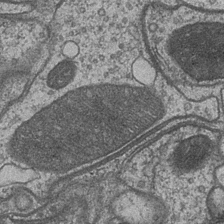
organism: Drosophila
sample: Optic medulla